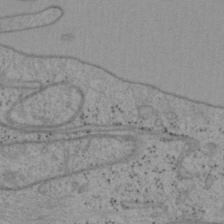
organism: Human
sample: HeLa cells